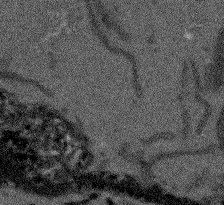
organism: Arabidopsis thaliana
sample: Root tip